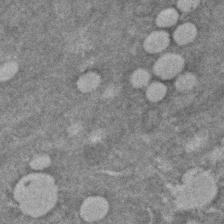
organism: C. elegans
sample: C. elegans embryo